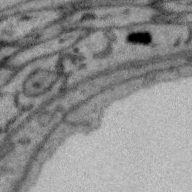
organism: Zebra finch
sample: Brain